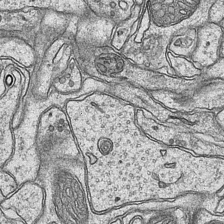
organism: Mouse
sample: CA1 Hippocampus